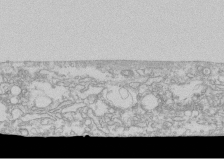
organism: Human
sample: CRL-1474